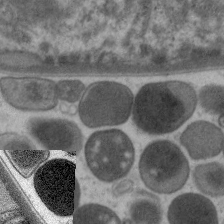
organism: C. elegans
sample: Pharynx